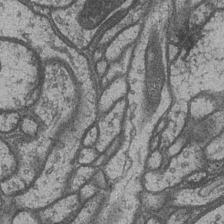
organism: Drosophila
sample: Optic medulla